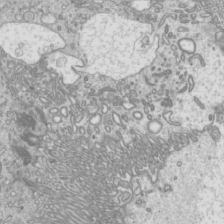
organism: Mouse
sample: Cilia; mouse epididymis